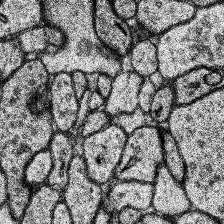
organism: Human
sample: Temporal Lobe